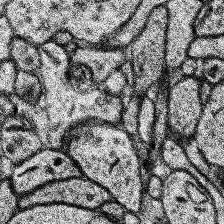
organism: Human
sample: Temporal Lobe